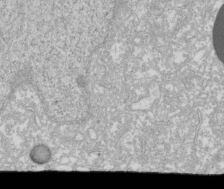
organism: Xenopus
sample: Cilia; centrioles in frog embryo cells